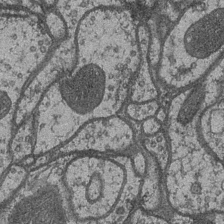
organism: Drosophila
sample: Optic medulla